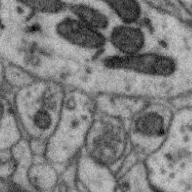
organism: Zebra finch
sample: Brain